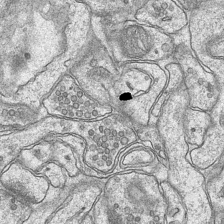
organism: Mouse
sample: CA1 Hippocampus